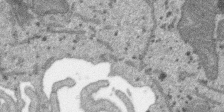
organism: Human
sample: Lung epithelial cells infected with SARS-CoV-2